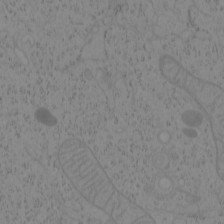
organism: Human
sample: HeLa cells